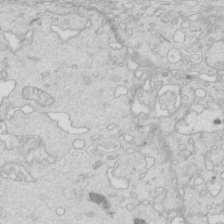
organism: Mouse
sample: Multiciliated cells